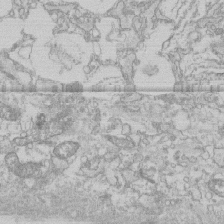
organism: Human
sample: CRL-1474